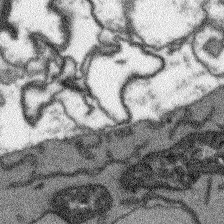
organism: Arabidopsis thaliana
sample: Root tip